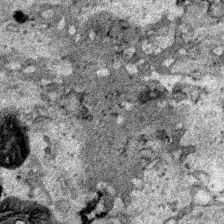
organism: Human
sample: Mitochondria in HCT116 cells